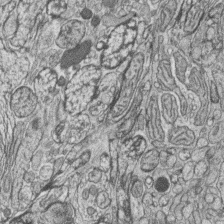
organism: Zebrafish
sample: synaptic ribbons in rod cells and cone cells